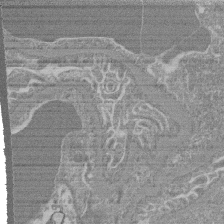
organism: Mouse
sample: Glomerulus